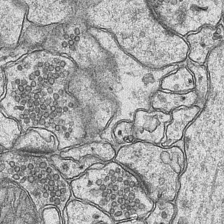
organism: Mouse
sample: CA1 Hippocampus